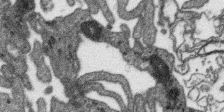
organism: Human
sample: Lung epithelial cells infected with SARS-CoV-2